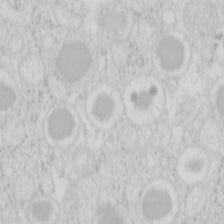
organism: Mouse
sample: Pancreas